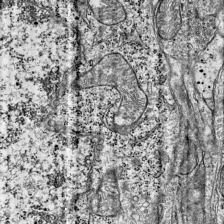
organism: Mouse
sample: Visual Cortex